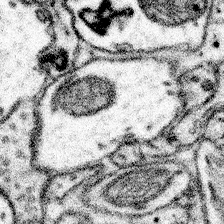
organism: Mouse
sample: Somatosensory cortex neuropil